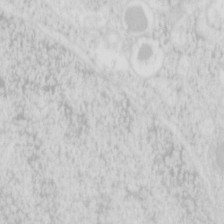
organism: Mouse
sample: Pancreas